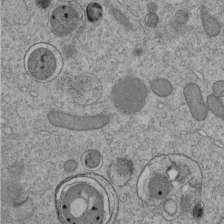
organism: C. elegans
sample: C. elegans embryo early stage